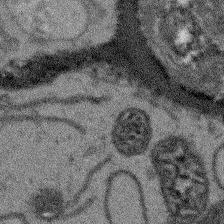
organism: Arabidopsis thaliana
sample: Root tip